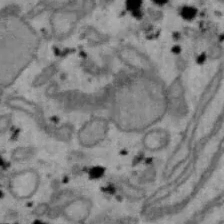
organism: Mouse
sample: Liver